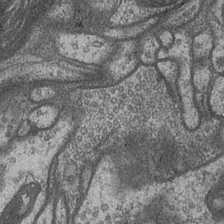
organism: Drosophila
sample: Optic medulla